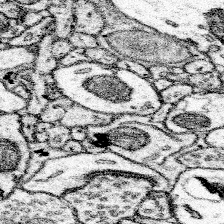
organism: Mouse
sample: Somatosensory cortex neuropil